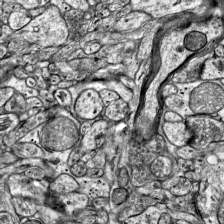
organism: Mouse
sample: Visual Cortex